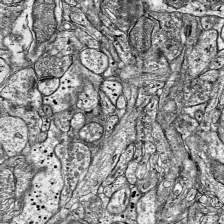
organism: Mouse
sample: Visual Cortex